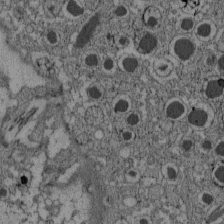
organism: C57BL Mouse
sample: Pancreatic islet